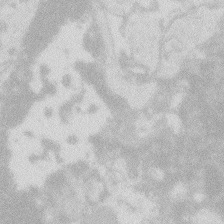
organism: Zebrafish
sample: Macrophage